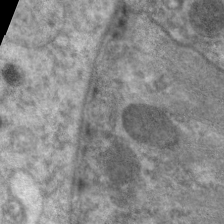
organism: C. elegans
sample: Pharynx